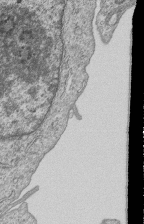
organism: Human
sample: MDA-MB-231 cells